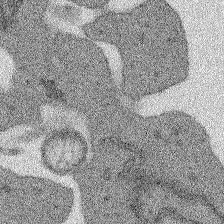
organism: Human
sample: HeLa cells